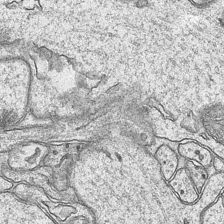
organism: Mouse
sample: CA1 Hippocampus